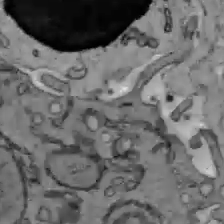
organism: C57BL Mouse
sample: Liver